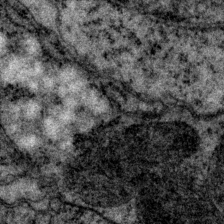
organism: P. pacificus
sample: Pharynx